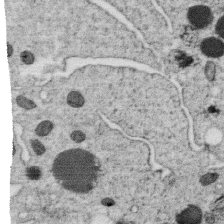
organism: C. elegans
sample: C. elegans oocyte; sperm cells